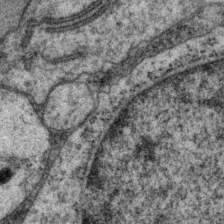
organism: P. pacificus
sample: Pharynx